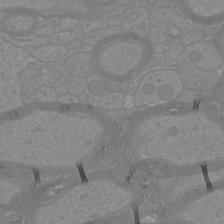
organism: Mouse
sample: Cortical neurons